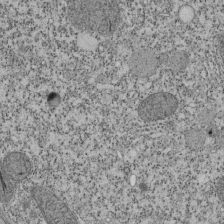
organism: Tetrahymena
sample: Cilia in tetrahymena